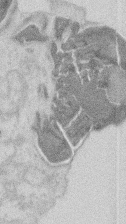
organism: Mouse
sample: T cell stromal cell synapse